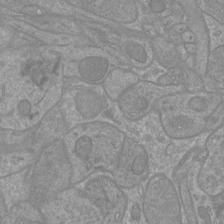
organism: Mouse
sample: Cortical neurons